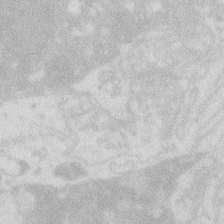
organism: Zebrafish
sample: Macrophage